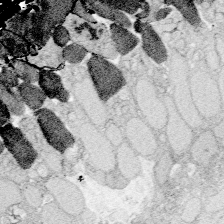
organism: Zebrafish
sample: Whole-Brain